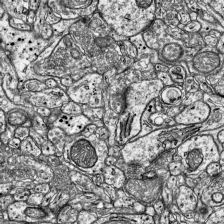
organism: Mouse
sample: Visual Cortex